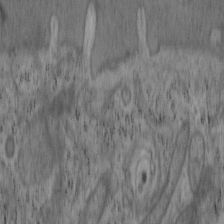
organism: Human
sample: HeLa cells